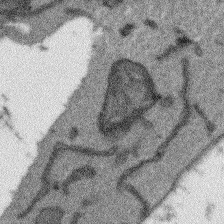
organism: Arabidopsis thaliana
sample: Root tip